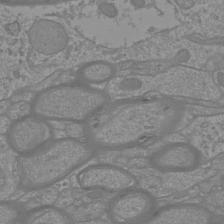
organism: Mouse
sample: Cortical neurons